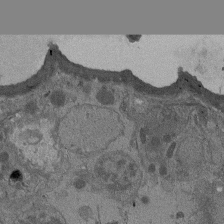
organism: Drosophila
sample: Antenna